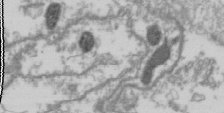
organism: Drosophila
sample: Cell division; meiosis; drosophila spermatocytes